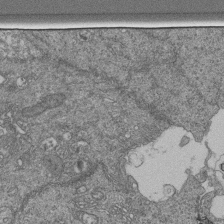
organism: Human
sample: Retinal organoid Rod and Cone cells